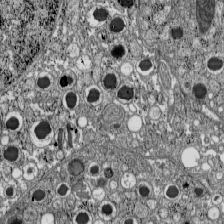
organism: C57BL Mouse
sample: Pancreatic islet